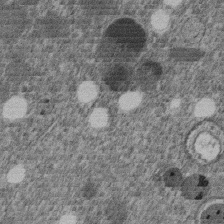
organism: C. elegans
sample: C. elegans embryo early stage